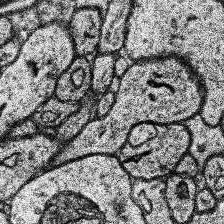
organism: Human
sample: Temporal Lobe